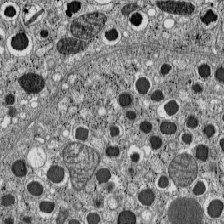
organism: C57BL Mouse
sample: Pancreatic islet